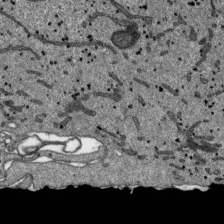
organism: Human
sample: Lung epithelial cells, uninfected (mock) control